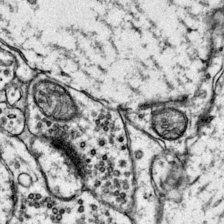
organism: Mouse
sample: Primary visual cortex